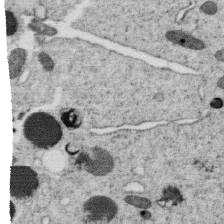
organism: C. elegans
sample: C. elegans oocyte; sperm cells